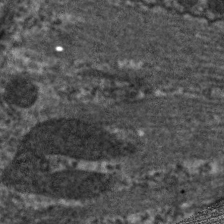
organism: C. elegans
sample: Pharynx